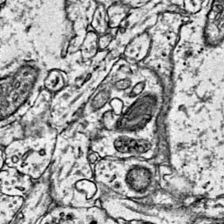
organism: Mouse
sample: Primary visual cortex